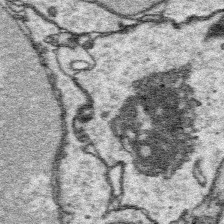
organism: Platynereis dumerilii